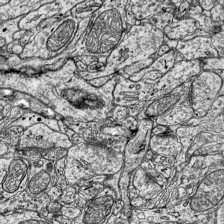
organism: Mouse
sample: Visual Cortex